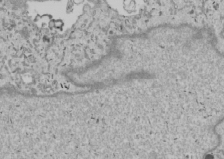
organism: Human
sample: Mitochondria in U2OS cells